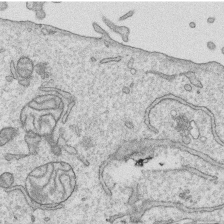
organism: Human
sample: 1205lu cells